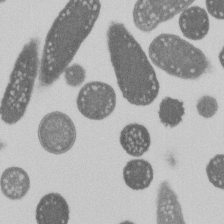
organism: E. coli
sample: Bacterial nucleoid